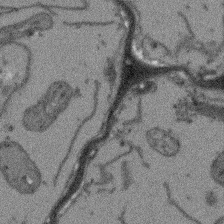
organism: Arabidopsis thaliana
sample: Root tip